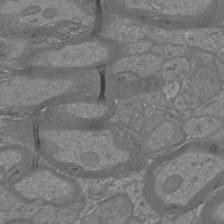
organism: Mouse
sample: Cortical neurons